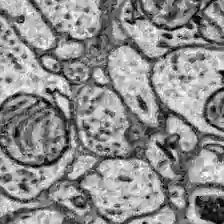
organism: Zebrafish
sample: Brain